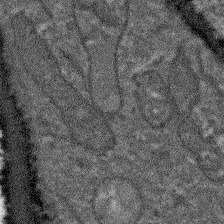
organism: Arabidopsis thaliana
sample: Root tip